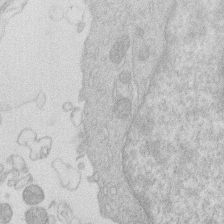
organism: Human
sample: Macrophage cells